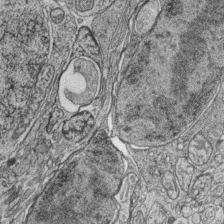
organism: Zebrafish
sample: synaptic ribbons in rod cells and cone cells